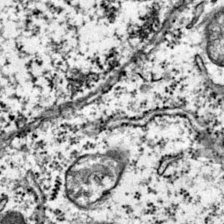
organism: Mouse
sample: Primary visual cortex